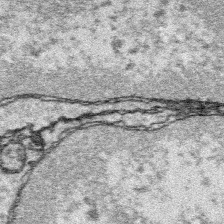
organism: Platynereis dumerilii